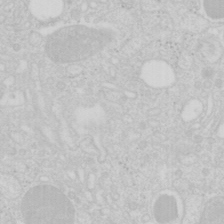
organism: Mouse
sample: Pancreas